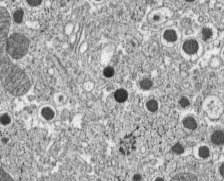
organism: C57BL Mouse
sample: Pancreatic islet